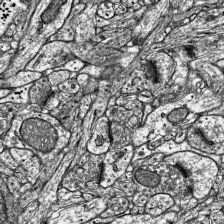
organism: Mouse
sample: Visual Cortex